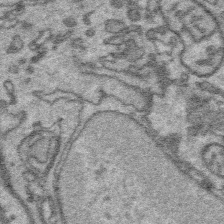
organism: Platynereis dumerilii